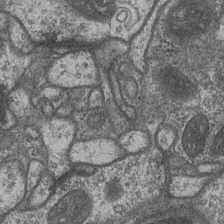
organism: Drosophila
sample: Optic medulla